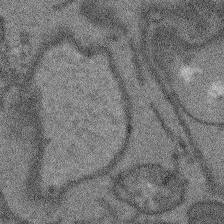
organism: Arabidopsis thaliana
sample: Root tip